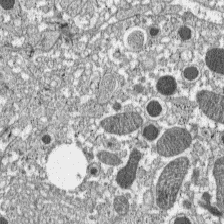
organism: C57BL Mouse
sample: Pancreatic islet